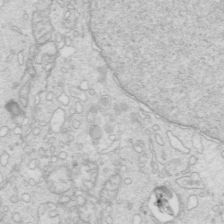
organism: Mouse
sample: Multiciliated cells